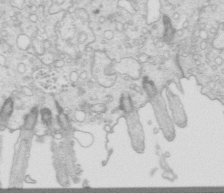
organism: Mouse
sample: Multiciliated cells